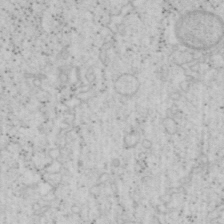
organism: Human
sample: HeLa cells